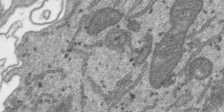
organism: Human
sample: Lung epithelial cells infected with SARS-CoV-2